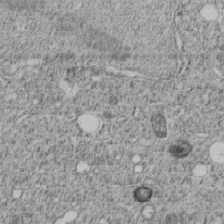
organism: C. elegans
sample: C. elegans embryo early stage